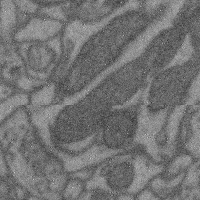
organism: Mouse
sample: Cerebral cortex